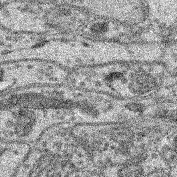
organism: Mouse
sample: Retina